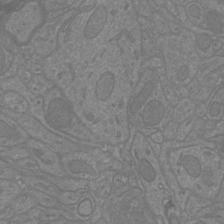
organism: Mouse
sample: Cortical neurons